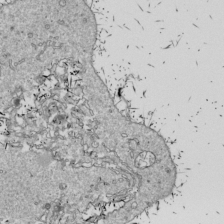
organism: Drosophila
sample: Cell division; meiosis; drosophila spermatocytes